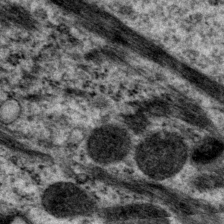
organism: P. pacificus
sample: Pharynx